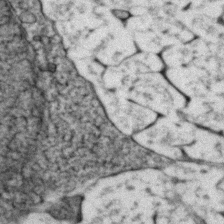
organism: Zebrafish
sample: Zebrafish embryo